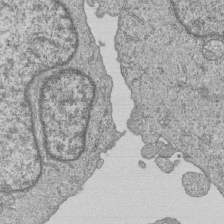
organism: Human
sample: MDA-MB-231 cells